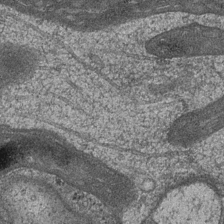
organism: Drosophila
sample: Optic medulla